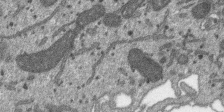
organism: Human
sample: Lung epithelial cells infected with SARS-CoV-2